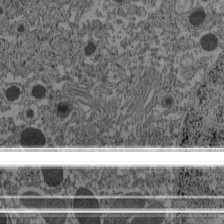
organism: C57BL Mouse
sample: Pancreatic islet